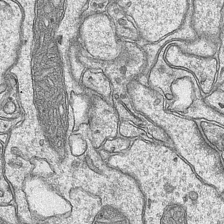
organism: Mouse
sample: CA1 Hippocampus